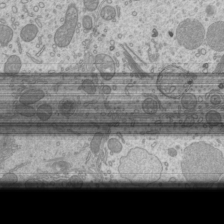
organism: Mouse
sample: Cilia; mouse epididymis